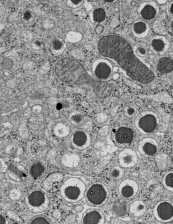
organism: C57BL Mouse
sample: Pancreatic islet